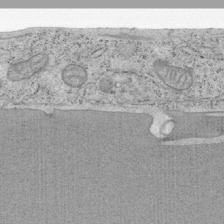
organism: Human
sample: HeLa cells